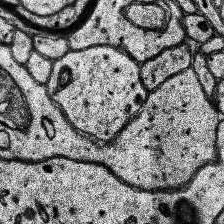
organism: Human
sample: Temporal Lobe